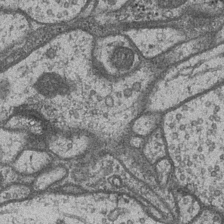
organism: Drosophila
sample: Optic medulla